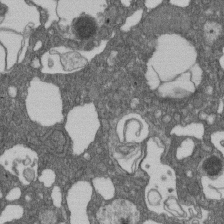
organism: Drosophila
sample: Nephrocyte